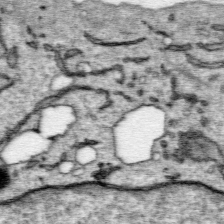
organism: Human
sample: HeLa cells